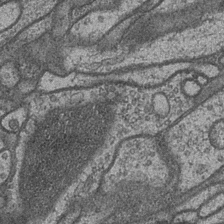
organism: Drosophila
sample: Optic medulla